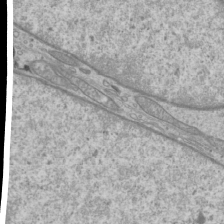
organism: Mouse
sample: Cilia; mouse epididymis